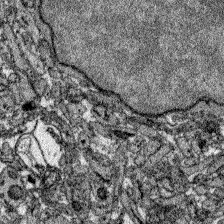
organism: Zebrafish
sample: Larval olfactory bulb